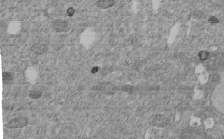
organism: C. elegans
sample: C. elegans embryo early stage